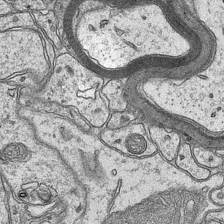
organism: Mouse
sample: CA1 Hippocampus